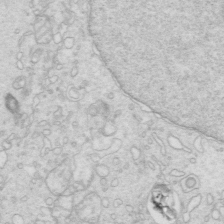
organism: Mouse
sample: Multiciliated cells